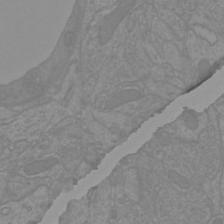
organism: Mouse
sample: Cortical neurons